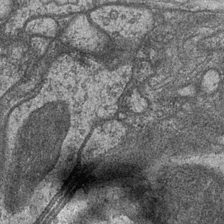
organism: Drosophila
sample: Optic medulla